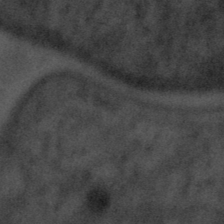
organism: Tuwongella immobilis